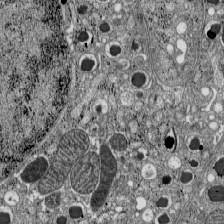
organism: C57BL Mouse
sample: Pancreatic islet